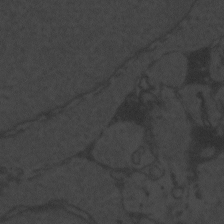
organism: Zebrafish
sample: Macrophage infected with Toxoplasma gondii